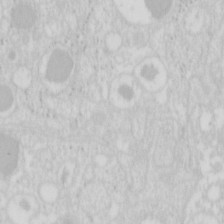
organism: Mouse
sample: Pancreas